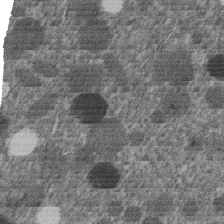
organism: C. elegans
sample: C. elegans embryo early stage